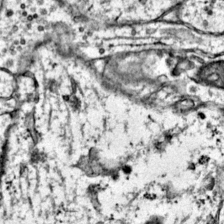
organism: Mouse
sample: Primary visual cortex